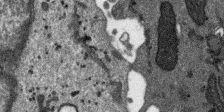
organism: Human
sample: Lung epithelial cells infected with SARS-CoV-2